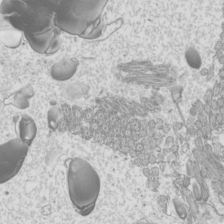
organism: Mouse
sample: Cilia; mouse epididymis